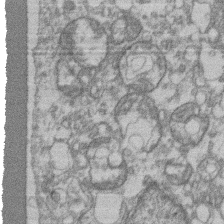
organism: Mouse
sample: T cell stromal cell synapse